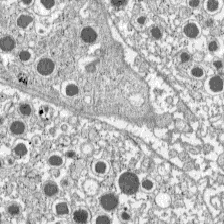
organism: C57BL Mouse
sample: Pancreatic islet